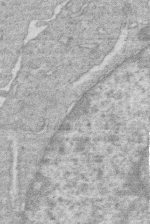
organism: Human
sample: Macrophage cells